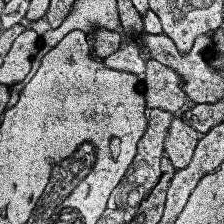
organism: Human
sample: Temporal Lobe